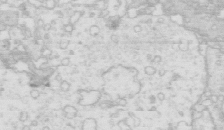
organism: Mouse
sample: Multiciliated cells